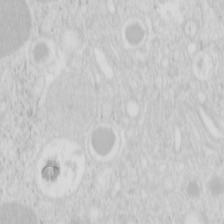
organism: Mouse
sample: Pancreas